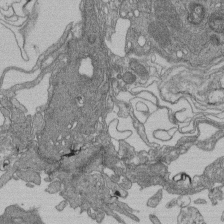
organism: Human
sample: Retinal organoid Rod and Cone cells